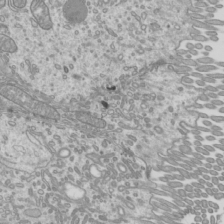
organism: Mouse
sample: Cilia; mouse epididymis